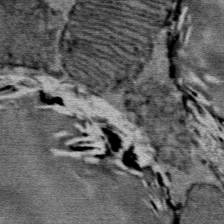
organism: Mouse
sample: Mouse Salivary gland